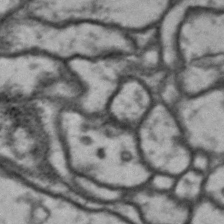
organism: Drosophila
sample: Brain